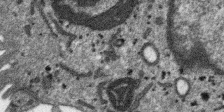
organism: Human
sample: Lung epithelial cells infected with SARS-CoV-2